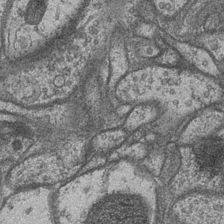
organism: Drosophila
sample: Optic medulla